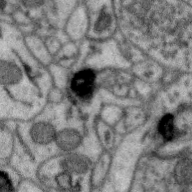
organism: Zebra finch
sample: Brain